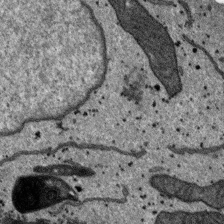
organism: Human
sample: Lung epithelial cells, uninfected (mock) control